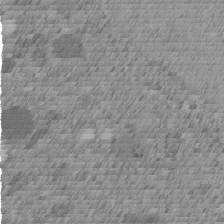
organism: C. elegans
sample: C. elegans embryo early stage